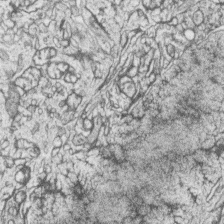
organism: Zebrafish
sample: synaptic ribbons in rod cells and cone cells